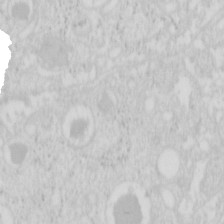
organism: Mouse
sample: Pancreas